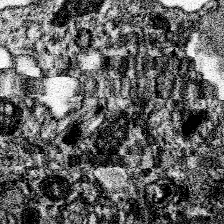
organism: Spongilla lacustris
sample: Neuroid cell